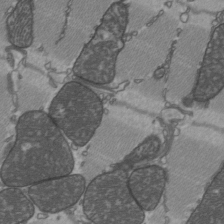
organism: C57BL Mouse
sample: Heart